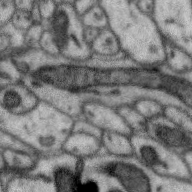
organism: Zebra finch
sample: Brain